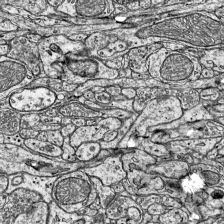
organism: Mouse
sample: Visual Cortex